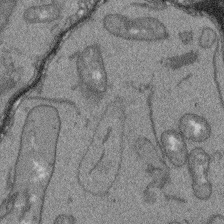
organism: Arabidopsis thaliana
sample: Root tip